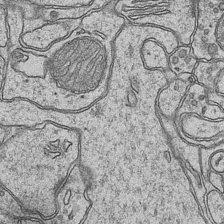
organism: Mouse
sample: CA1 Hippocampus